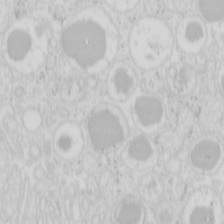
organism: Mouse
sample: Pancreas